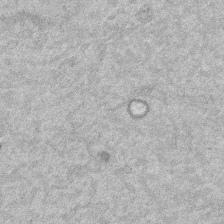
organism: Mouse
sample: Dividing mouse embryo 1 cell stage